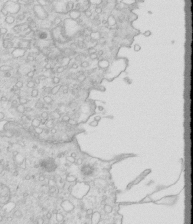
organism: Mouse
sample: Multiciliated cells